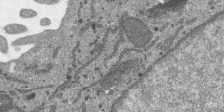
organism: Human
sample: Lung epithelial cells infected with SARS-CoV-2